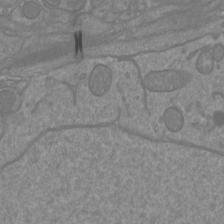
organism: Mouse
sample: Cortical neurons